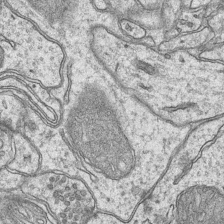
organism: Mouse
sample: CA1 Hippocampus